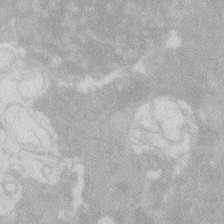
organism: Zebrafish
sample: Macrophage